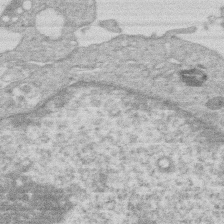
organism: Human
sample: Macrophage cells